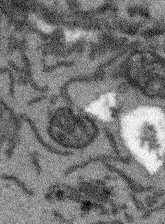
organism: Arabidopsis thaliana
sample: Root tip